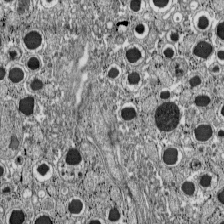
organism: C57BL Mouse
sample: Pancreatic islet